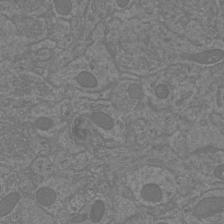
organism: Mouse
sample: Cortical neurons